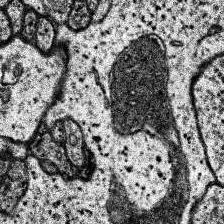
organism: Human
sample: Temporal Lobe